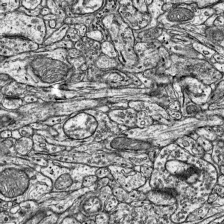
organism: Mouse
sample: Visual Cortex